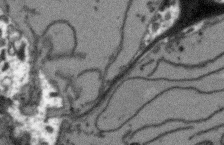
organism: Arabidopsis thaliana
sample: Root tip